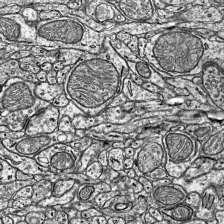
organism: Mouse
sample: Visual Cortex